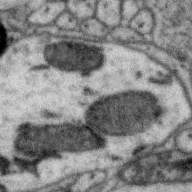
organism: Zebra finch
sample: Brain